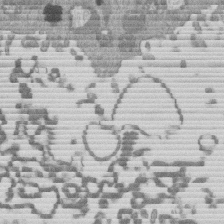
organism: Mouse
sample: Dividing mouse embryo 1 cell stage